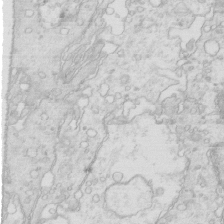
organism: Mouse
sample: Multiciliated cells